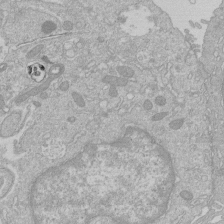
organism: Human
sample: Macrophage cells